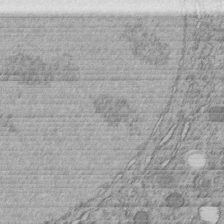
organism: C. elegans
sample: C. elegans embryo early stage